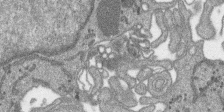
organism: Human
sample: Lung epithelial cells infected with SARS-CoV-2